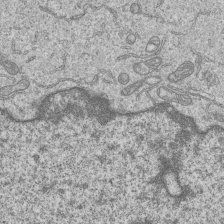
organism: Human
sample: MDA-MB-231 cells